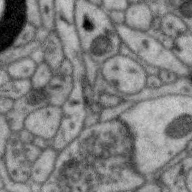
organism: Zebra finch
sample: Brain